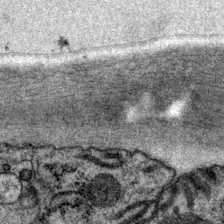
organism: P. pacificus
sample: Pharynx